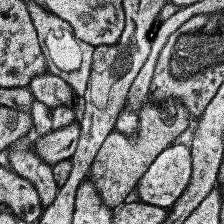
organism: Human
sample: Temporal Lobe